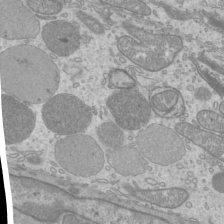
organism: Mouse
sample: Cilia; mouse epididymis